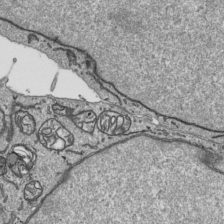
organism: Human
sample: Mitochondria in HCT116 cells